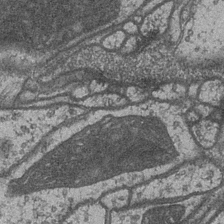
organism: Drosophila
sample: Optic medulla